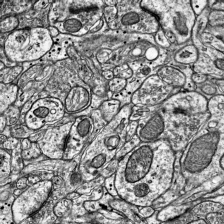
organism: Mouse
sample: Visual Cortex